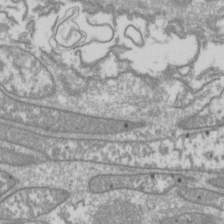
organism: Drosophila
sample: Cell division; meiosis; drosophila spermatocytes